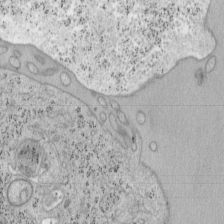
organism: Mouse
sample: OT-I killer T cells with ID8 ovarian cancer cells